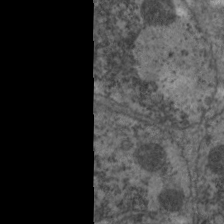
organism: C. elegans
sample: Pharynx